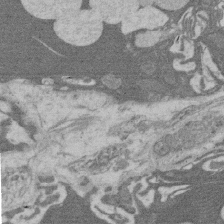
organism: Rat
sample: Salivary granule